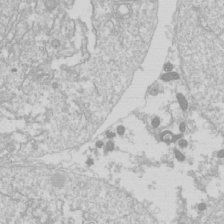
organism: Drosophila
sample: Cell division; meiosis; drosophila spermatocytes